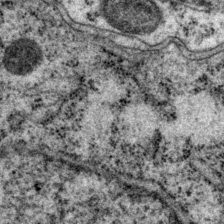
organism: P. pacificus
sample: Pharynx